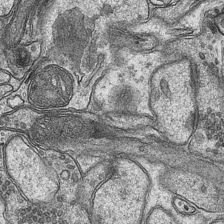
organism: Mouse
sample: CA1 Hippocampus